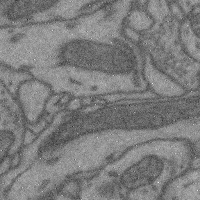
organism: Mouse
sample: Cerebral cortex